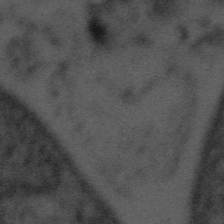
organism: Tuwongella immobilis